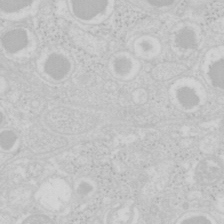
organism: Mouse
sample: Pancreas